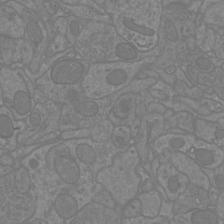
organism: Mouse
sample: Cortical neurons